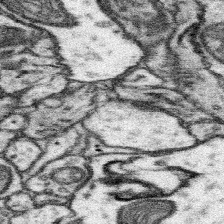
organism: Mouse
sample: Somatosensory cortex neuropil